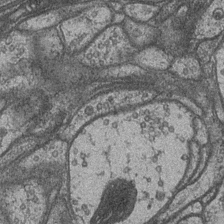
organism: Drosophila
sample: Optic medulla